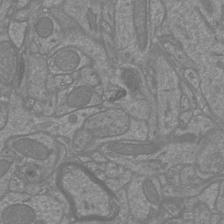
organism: Mouse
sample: Cortical neurons